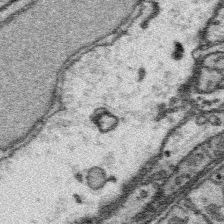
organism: Platynereis dumerilii